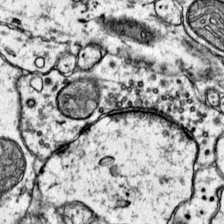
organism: Mouse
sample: Primary visual cortex